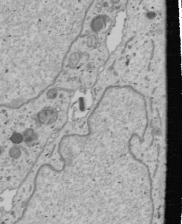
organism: Human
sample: Mitochondria in U2OS cells